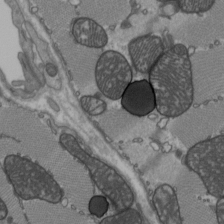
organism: C57BL Mouse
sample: Heart